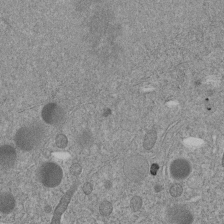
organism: C. elegans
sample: C. elegans embryo early stage